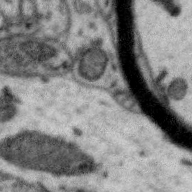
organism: Zebra finch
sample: Brain